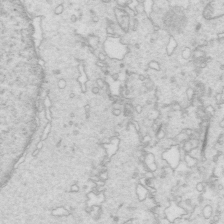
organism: Mouse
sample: Multiciliated cells